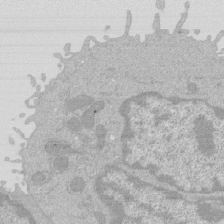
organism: Mouse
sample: Activated Pmel transgenic CD8+ T Cells